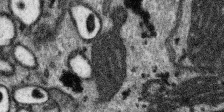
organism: Human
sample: Lung epithelial cells infected with SARS-CoV-2